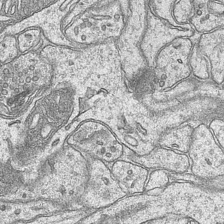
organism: Mouse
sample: CA1 Hippocampus